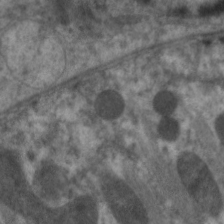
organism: C. elegans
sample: Pharynx